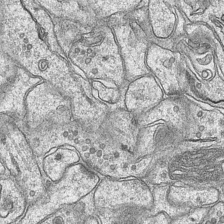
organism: Mouse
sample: CA1 Hippocampus